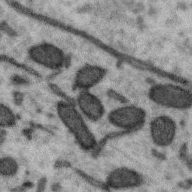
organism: Zebra finch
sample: Brain